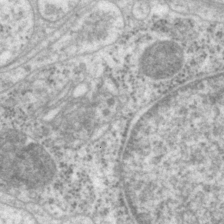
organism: P. pacificus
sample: Pharynx